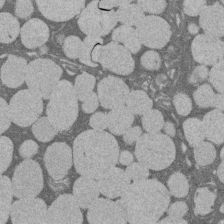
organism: Rat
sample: Salivary granule